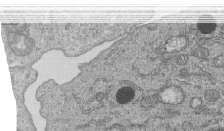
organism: Human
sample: MDA-MB-231 cells